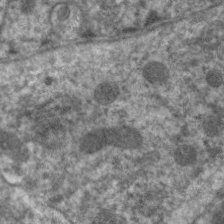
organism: C. elegans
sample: Pharynx